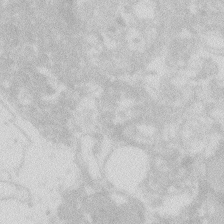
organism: Zebrafish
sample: Macrophage